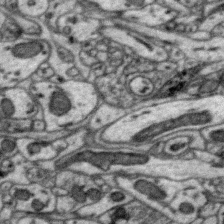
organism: Zebra finch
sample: Brain